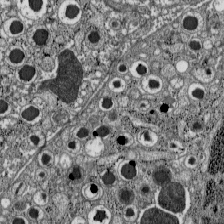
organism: C57BL Mouse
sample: Pancreatic islet